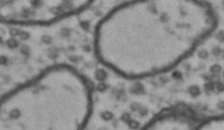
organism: Drosophila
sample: Brain